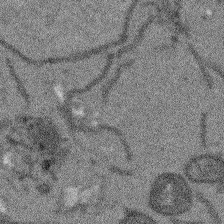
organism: Arabidopsis thaliana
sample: Root tip